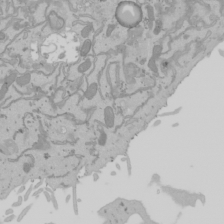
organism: Mouse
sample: Cancer cell death in ED-1 cells